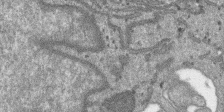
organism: Human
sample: Lung epithelial cells infected with SARS-CoV-2